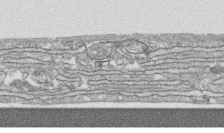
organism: Human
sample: CRL-1474